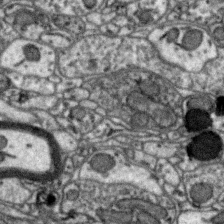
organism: Zebra finch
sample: Brain